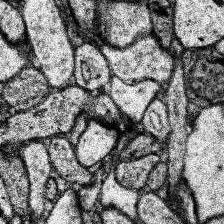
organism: Human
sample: Temporal Lobe